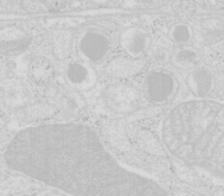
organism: Mouse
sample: Pancreas